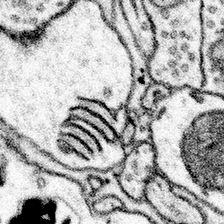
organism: Mouse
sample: Somatosensory cortex neuropil